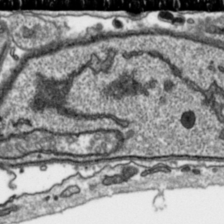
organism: Toxoplasma gondii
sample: Parasites in a vacuole inside a host cell